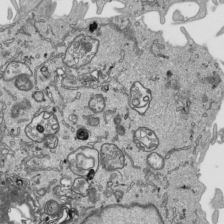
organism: Human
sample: Mitochondria in HCT116 cells